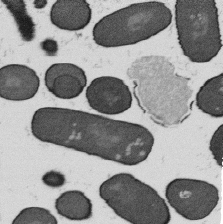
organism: B. subtilis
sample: Bacterial spore